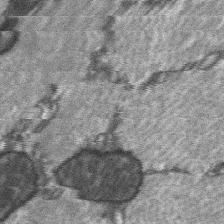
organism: C57BL Mouse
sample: Soleus